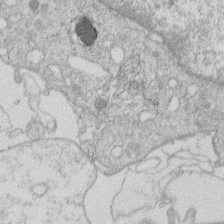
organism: Human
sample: Macrophage cells